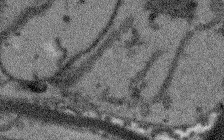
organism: Arabidopsis thaliana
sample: Root tip